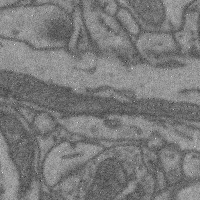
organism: Mouse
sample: Cerebral cortex